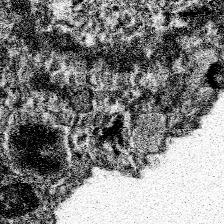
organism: Spongilla lacustris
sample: Neuroid cell